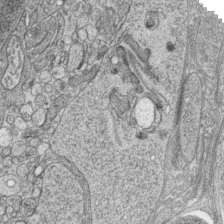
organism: Zebrafish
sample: synaptic ribbons in rod cells and cone cells